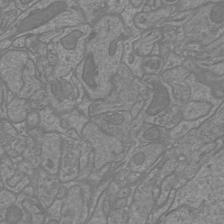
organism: Mouse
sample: Cortical neurons